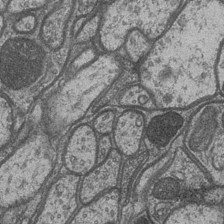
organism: Drosophila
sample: Optic medulla